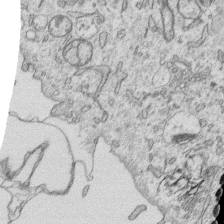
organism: Human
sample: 1205lu cells